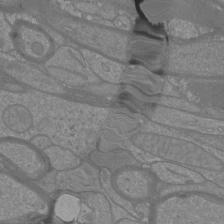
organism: Mouse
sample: Cortical neurons